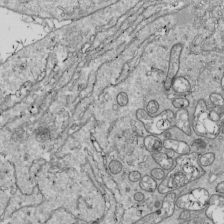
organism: Drosophila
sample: Cell division; meiosis; drosophila spermatocytes